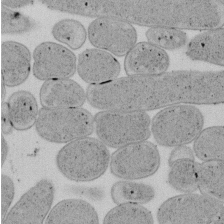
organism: E. coli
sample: Bacterial nucleoid